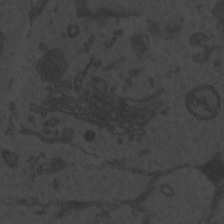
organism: Zebrafish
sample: Macrophage infected with Toxoplasma gondii